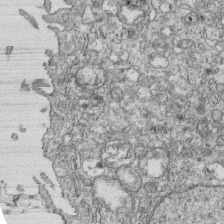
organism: Human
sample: HeLa cell HIV synapse